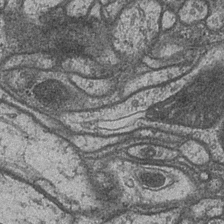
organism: Drosophila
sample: Optic medulla